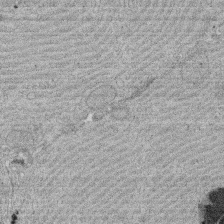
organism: Rat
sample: Salivary granule